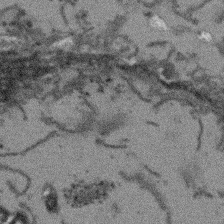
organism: Arabidopsis thaliana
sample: Root tip